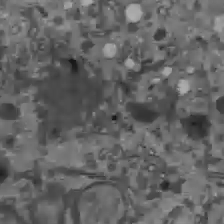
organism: C57BL Mouse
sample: Liver